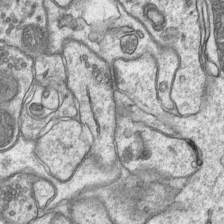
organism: Mouse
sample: CA1 Hippocampus